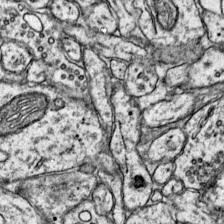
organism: Mouse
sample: Primary visual cortex